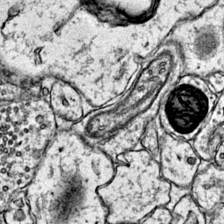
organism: Mouse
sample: Primary visual cortex